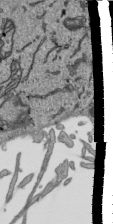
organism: Human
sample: Mitochondria in HCT116 cells